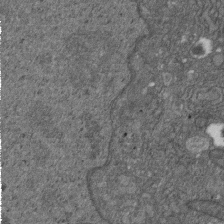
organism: Drosophila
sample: Nephrocyte